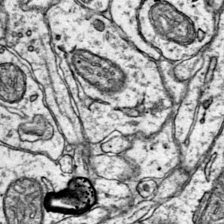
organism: Mouse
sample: Primary visual cortex